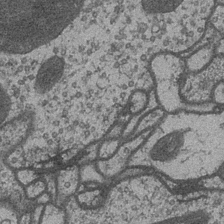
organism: Drosophila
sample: Optic medulla